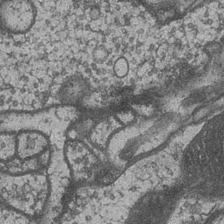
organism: Drosophila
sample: Optic medulla